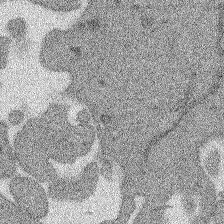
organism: Human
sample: HeLa cells